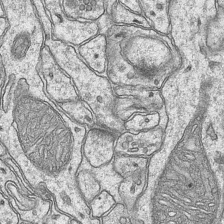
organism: Mouse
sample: CA1 Hippocampus